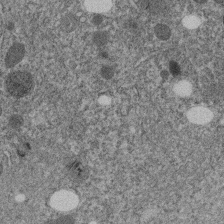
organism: C. elegans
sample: C. elegans embryo early stage